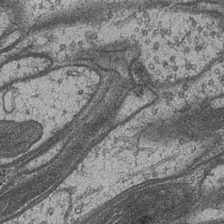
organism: Drosophila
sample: Optic medulla